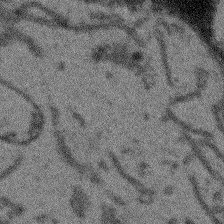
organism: Arabidopsis thaliana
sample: Root tip